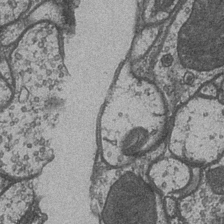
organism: Drosophila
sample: Optic medulla